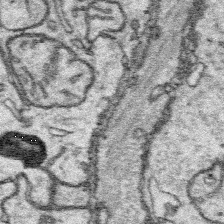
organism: Platynereis dumerilii